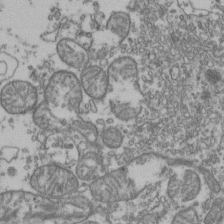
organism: Human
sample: Activated Jurkat CD4+ T cells